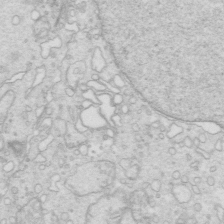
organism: Mouse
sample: Multiciliated cells